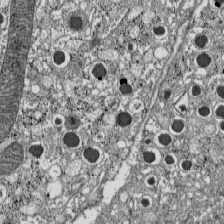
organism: C57BL Mouse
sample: Pancreatic islet